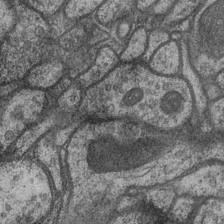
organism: Drosophila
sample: Optic medulla